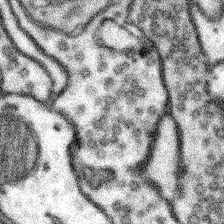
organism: Mouse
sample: Somatosensory cortex neuropil